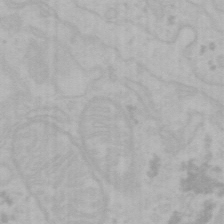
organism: Mouse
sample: Choroid plexus